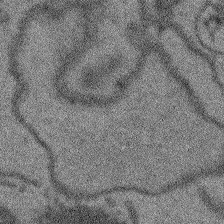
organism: Arabidopsis thaliana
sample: Root tip